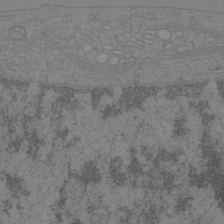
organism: Human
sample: HeLa cells